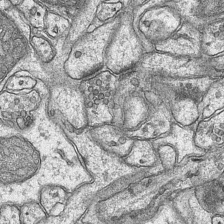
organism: Mouse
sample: CA1 Hippocampus